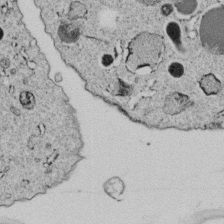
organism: C. elegans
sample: C. elegans embryo early stage